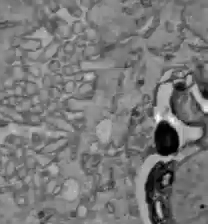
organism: C57BL Mouse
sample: Liver